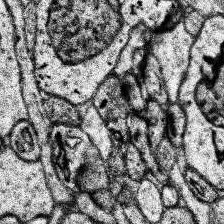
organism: Human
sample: Temporal Lobe